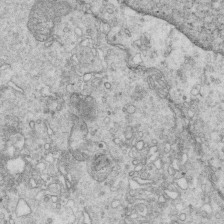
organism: Mouse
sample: Multiciliated cells